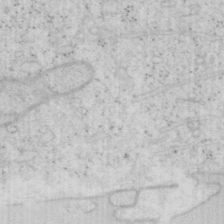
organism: Human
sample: HeLa cells